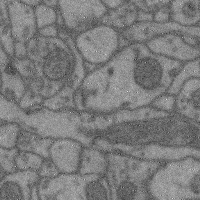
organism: Mouse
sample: Cerebral cortex